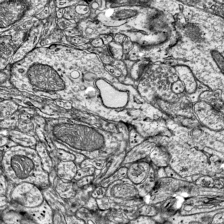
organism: Mouse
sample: Visual Cortex